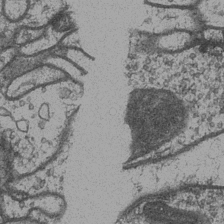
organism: Drosophila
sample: Optic medulla